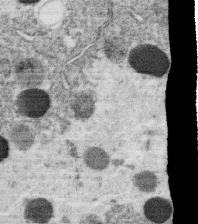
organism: C. elegans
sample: C. elegans oocyte; sperm cells